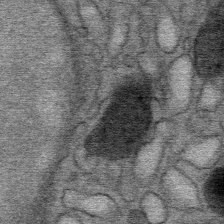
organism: Mouse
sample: Mouse Salivary gland